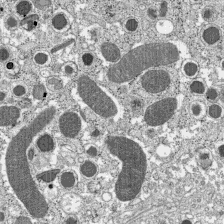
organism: C57BL Mouse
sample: Pancreatic islet